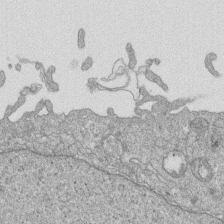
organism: Human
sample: HeLa cell HIV synapse